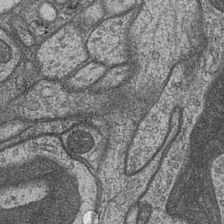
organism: Drosophila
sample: Optic medulla